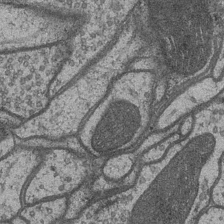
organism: Drosophila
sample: Optic medulla